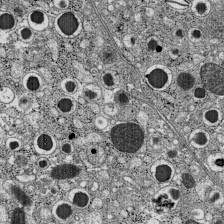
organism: C57BL Mouse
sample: Pancreatic islet